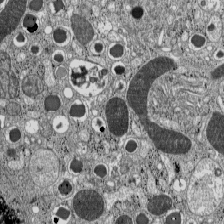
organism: C57BL Mouse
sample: Pancreatic islet